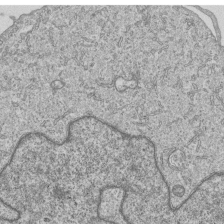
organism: Human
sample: MDA-MB-231 cells